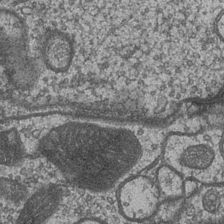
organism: Drosophila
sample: Optic medulla